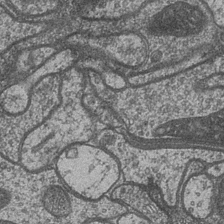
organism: Drosophila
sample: Optic medulla